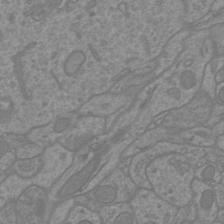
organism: Mouse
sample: Cortical neurons